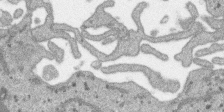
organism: Human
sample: Lung epithelial cells infected with SARS-CoV-2